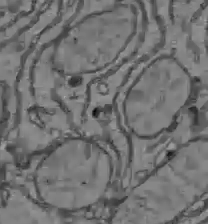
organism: C57BL Mouse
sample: Liver